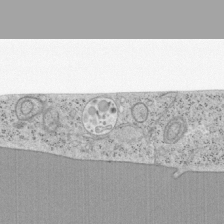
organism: Human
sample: HeLa cells